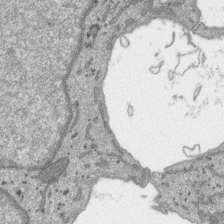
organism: Human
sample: Lung epithelial cells infected with SARS-CoV-2